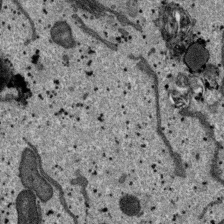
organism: Human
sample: Lung epithelial cells, uninfected (mock) control